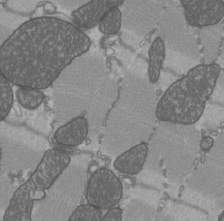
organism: C57BL Mouse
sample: Heart